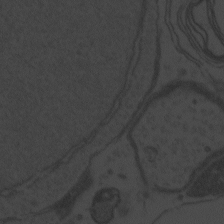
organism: Zebrafish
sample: Macrophage infected with Toxoplasma gondii